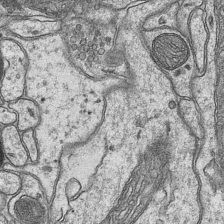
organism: Mouse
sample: CA1 Hippocampus